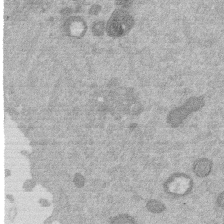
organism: Mouse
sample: Dividing mouse embryo 1 cell stage